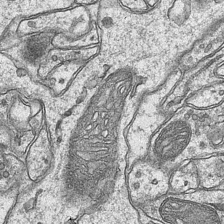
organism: Mouse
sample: CA1 Hippocampus